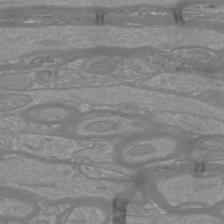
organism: Mouse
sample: Cortical neurons